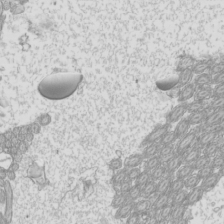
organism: Mouse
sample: Cilia; mouse epididymis